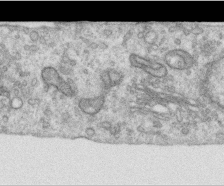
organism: Human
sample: Centriole in RPE cells